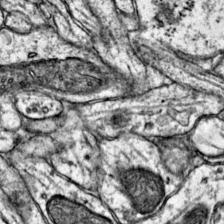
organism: Mouse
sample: Primary visual cortex